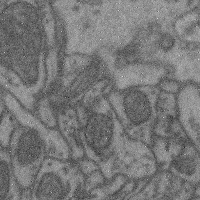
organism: Mouse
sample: Cerebral cortex